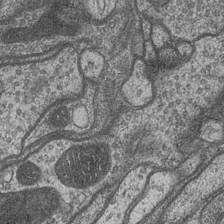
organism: Drosophila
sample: Optic medulla